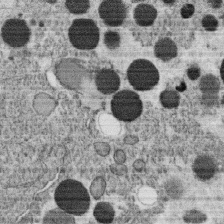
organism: C. elegans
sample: C. elegans oocyte; sperm cells